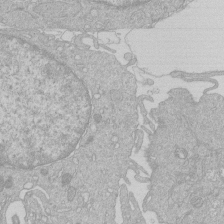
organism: Human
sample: Macrophage cells